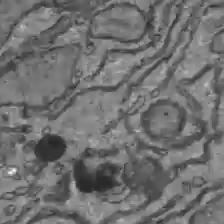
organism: C57BL Mouse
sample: Liver